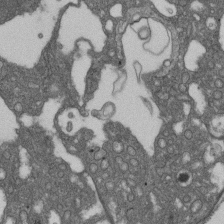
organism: Drosophila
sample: Nephrocyte